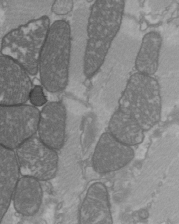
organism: C57BL Mouse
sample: Heart